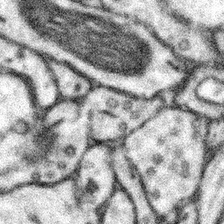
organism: Mouse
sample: Somatosensory cortex neuropil